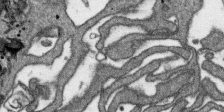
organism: Human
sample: Lung epithelial cells, uninfected (mock) control